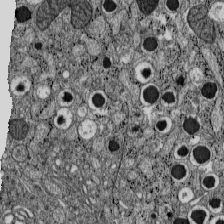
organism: C57BL Mouse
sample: Pancreatic islet